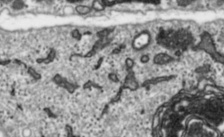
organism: Toxoplasma gondii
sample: Parasites in a vacuole inside a host cell